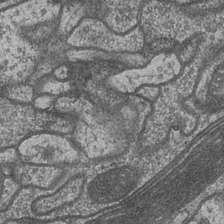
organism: Drosophila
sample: Optic medulla